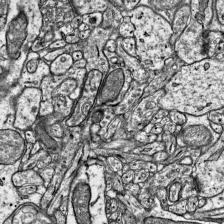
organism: Mouse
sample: Visual Cortex